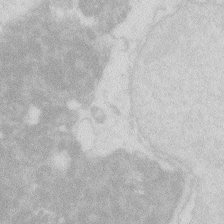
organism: Zebrafish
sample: Macrophage